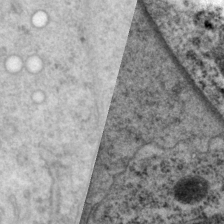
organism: P. pacificus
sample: Pharynx